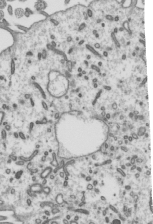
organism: Mouse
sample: Mouse epididymis efferent ductule cilia